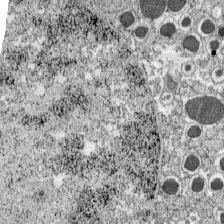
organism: C57BL Mouse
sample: Pancreatic islet